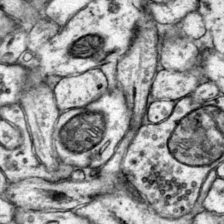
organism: Mouse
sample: Primary visual cortex